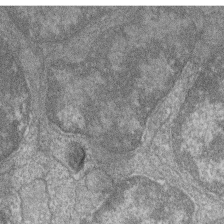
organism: Zebrafish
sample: Cilia; retinal pigment epithelium